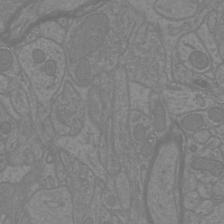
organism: Mouse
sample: Cortical neurons